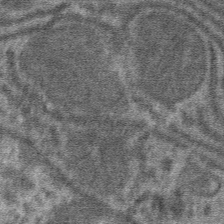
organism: Mouse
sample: Mouse hepatocytes